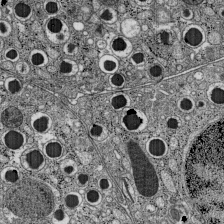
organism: C57BL Mouse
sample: Pancreatic islet